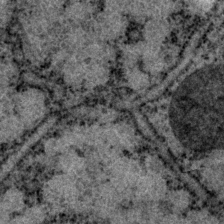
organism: P. pacificus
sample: Pharynx